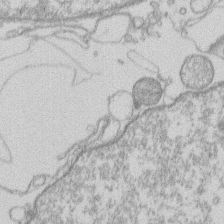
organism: Human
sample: Macrophage cells